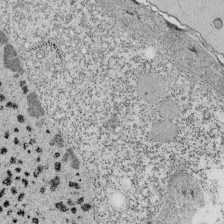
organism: Tetrahymena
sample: Cilia in tetrahymena